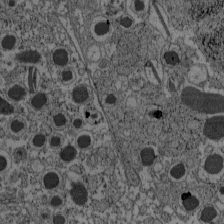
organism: C57BL Mouse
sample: Pancreatic islet